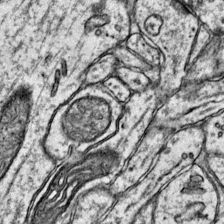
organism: Mouse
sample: Primary visual cortex